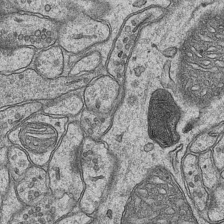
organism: Mouse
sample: CA1 Hippocampus